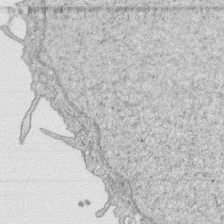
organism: Human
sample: HeLa cell HIV synapse